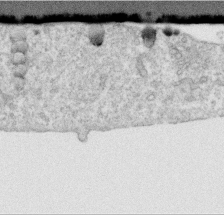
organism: Human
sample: Centriole in RPE cells